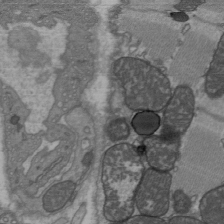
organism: C57BL Mouse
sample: Heart